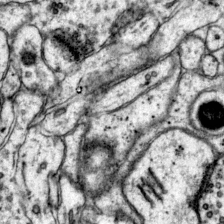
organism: Mouse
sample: Primary visual cortex